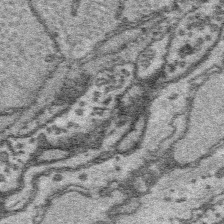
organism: Platynereis dumerilii